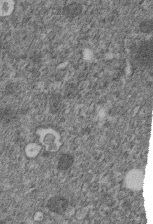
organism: C. elegans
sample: C. elegans embryo early stage